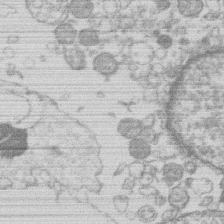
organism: Human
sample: Macrophage cells